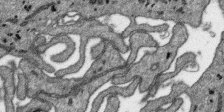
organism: Human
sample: Lung epithelial cells, uninfected (mock) control